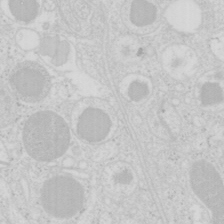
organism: Mouse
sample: Pancreas